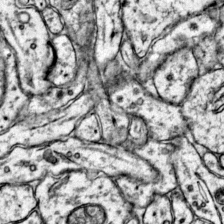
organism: Mouse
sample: Primary visual cortex